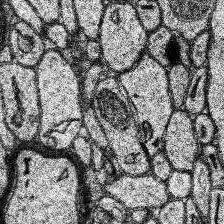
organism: Human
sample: Temporal Lobe